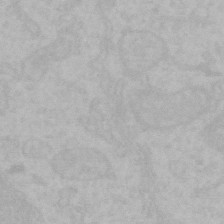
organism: Mouse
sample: Choroid plexus